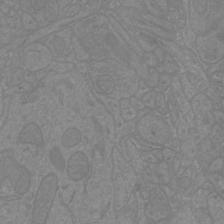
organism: Mouse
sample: Cortical neurons